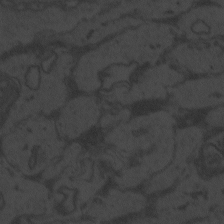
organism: Zebrafish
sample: Macrophage infected with Toxoplasma gondii